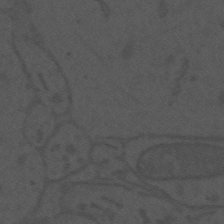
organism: Mouse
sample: Suprachiasmatic nucleus